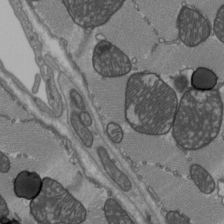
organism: C57BL Mouse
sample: Heart